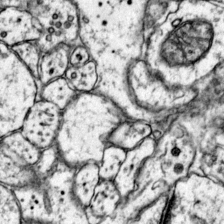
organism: Mouse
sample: Primary visual cortex